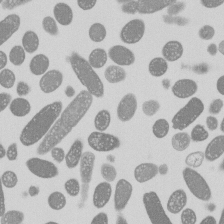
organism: E. coli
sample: Bacterial nucleoid